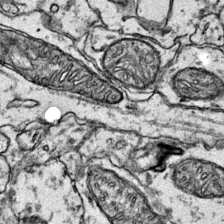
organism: Mouse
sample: Primary visual cortex